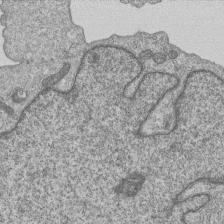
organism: Human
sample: MDA-MB-231 cells